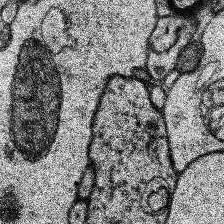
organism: Human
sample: Temporal Lobe